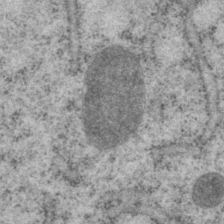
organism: P. pacificus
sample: Pharynx